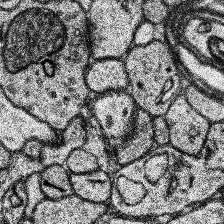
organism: Human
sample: Temporal Lobe